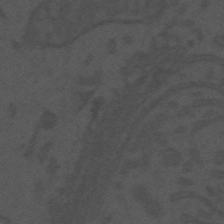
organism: Mouse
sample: Suprachiasmatic nucleus